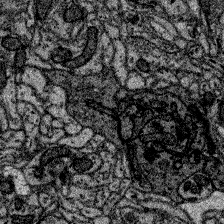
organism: Zebrafish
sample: Larval olfactory bulb